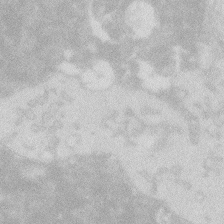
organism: Zebrafish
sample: Macrophage